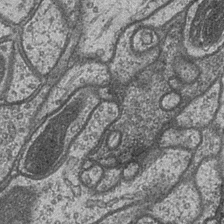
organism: Drosophila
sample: Optic medulla